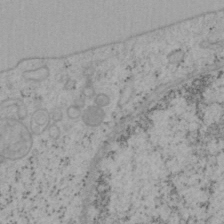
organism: Human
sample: HeLa cells